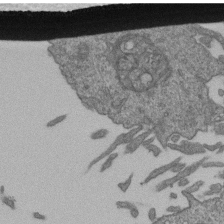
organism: Human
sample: Retinal organoid Rod and Cone cells